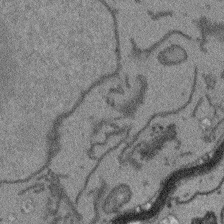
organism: Arabidopsis thaliana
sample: Root tip